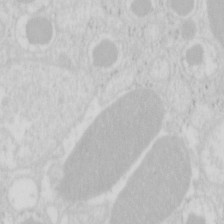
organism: Mouse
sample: Pancreas